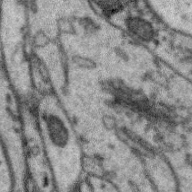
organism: Zebra finch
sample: Brain